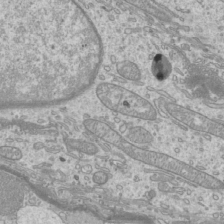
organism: Mouse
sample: Cilia; mouse epididymis